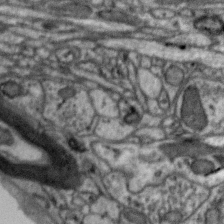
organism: Zebra finch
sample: Brain